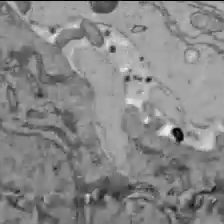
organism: C57BL Mouse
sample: Liver